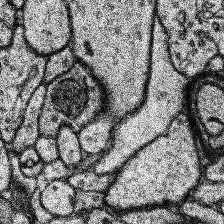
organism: Human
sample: Temporal Lobe